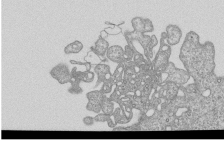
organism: Human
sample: MDA-MB-231 cells